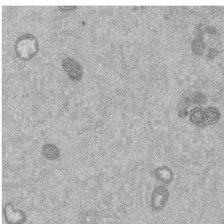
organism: Mouse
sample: Dividing mouse embryo 1 cell stage